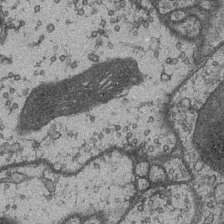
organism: Drosophila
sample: Optic medulla